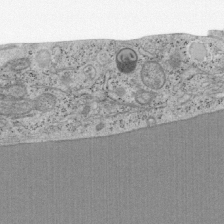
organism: Human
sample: HeLa cells